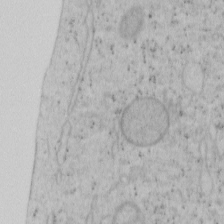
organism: Human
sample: HeLa cells